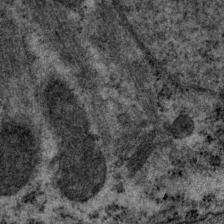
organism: P. pacificus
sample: Pharynx